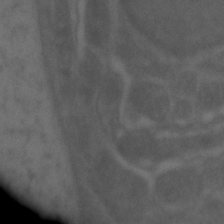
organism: Zebrafish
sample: Zebrafish embryo